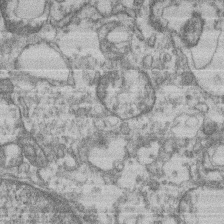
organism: Mouse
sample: T cell stromal cell synapse